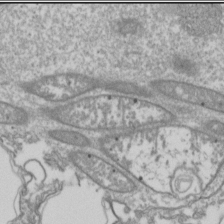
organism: Drosophila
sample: Cell division; meiosis; drosophila spermatocytes